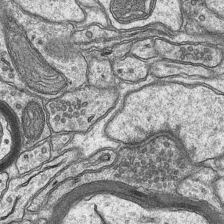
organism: Mouse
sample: CA1 Hippocampus